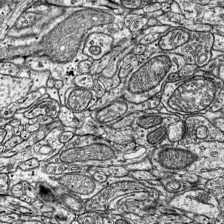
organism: Mouse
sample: Visual Cortex